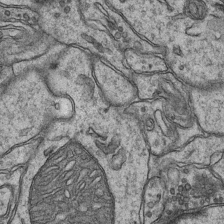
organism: Mouse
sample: CA1 Hippocampus